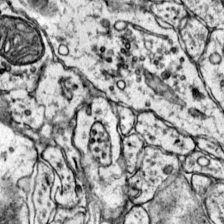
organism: Mouse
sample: Primary visual cortex